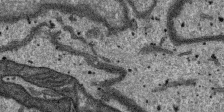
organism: Human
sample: Lung epithelial cells, uninfected (mock) control